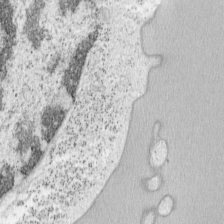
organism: Mouse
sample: OT-I killer T cells with ID8 ovarian cancer cells